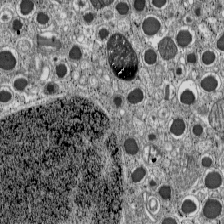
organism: C57BL Mouse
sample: Pancreatic islet